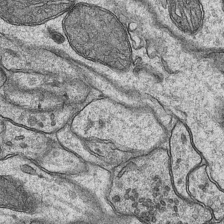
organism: Mouse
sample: CA1 Hippocampus